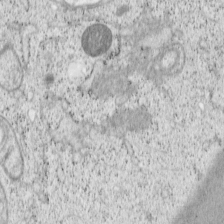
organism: African green monkey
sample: COS-7 cells